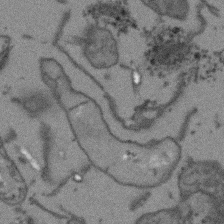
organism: Arabidopsis thaliana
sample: Root tip